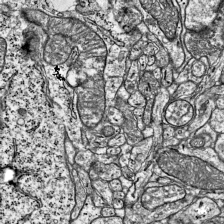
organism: Mouse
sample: Visual Cortex